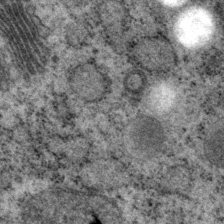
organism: P. pacificus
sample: Pharynx